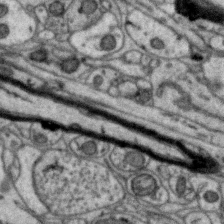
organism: Zebra finch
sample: Brain